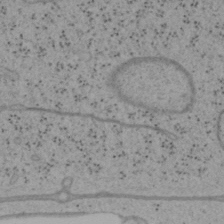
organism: Human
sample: HeLa cells